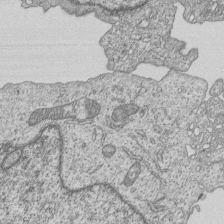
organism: Human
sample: MDA-MB-231 cells